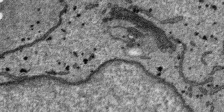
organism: Human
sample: Lung epithelial cells, uninfected (mock) control